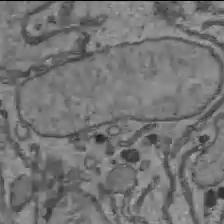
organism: C57BL Mouse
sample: Liver